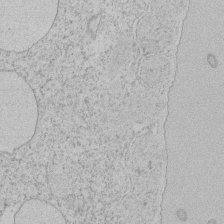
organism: Tetrahymena